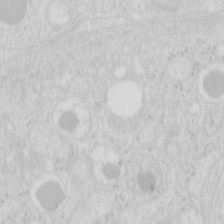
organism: Mouse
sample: Pancreas